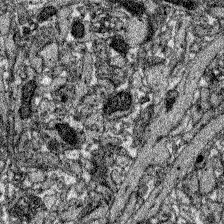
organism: Zebrafish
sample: Larval olfactory bulb